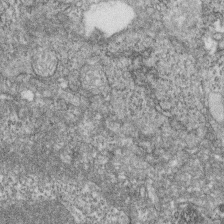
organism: Zebrafish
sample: Cilia; retinal pigment epithelium